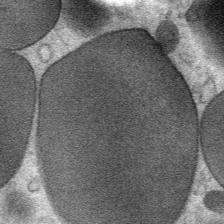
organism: Mouse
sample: Mouse Salivary gland